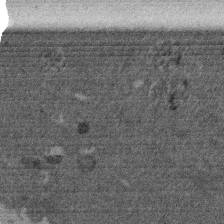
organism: Mouse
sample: Dividing mouse embryo 1 cell stage